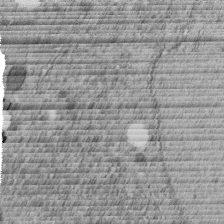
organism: C. elegans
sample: C. elegans embryo early stage